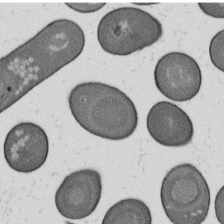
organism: B. subtilis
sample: Bacterial spore